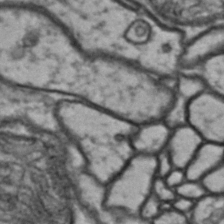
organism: Drosophila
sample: Brain